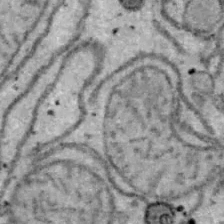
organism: Mouse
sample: Liver from an obese (ob/ob) mouse